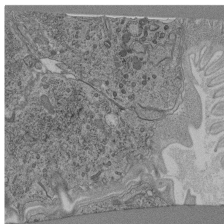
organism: C. elegans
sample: C. elegans pharynx